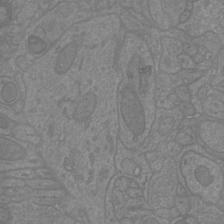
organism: Mouse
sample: Cortical neurons